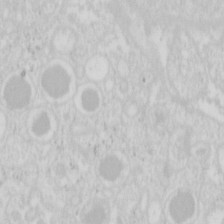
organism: Mouse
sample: Pancreas